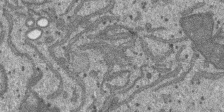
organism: Human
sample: Lung epithelial cells infected with SARS-CoV-2